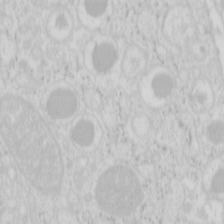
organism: Mouse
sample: Pancreas